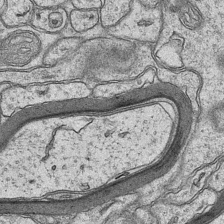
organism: Mouse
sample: CA1 Hippocampus